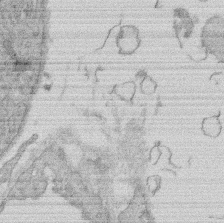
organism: Rat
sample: Salivary granule